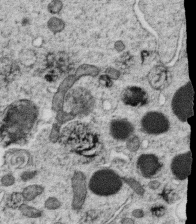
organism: C. elegans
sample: C. elegans oocyte; sperm cells